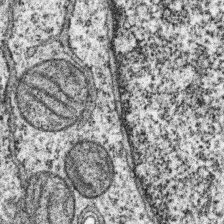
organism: Human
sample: HeLa cells